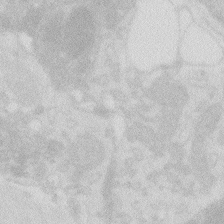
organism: Zebrafish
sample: Macrophage